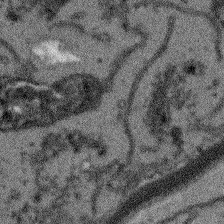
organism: Arabidopsis thaliana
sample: Root tip